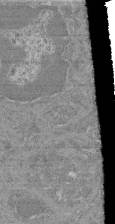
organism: Mouse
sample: Glomerulus